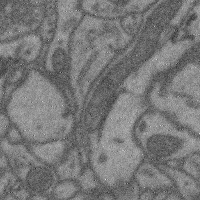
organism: Mouse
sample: Cerebral cortex